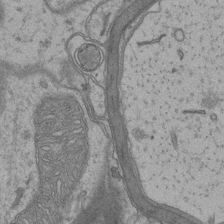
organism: Mouse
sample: CA1 Hippocampus